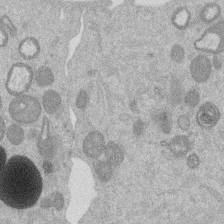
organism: Mouse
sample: Dividing mouse embryo 1 cell stage